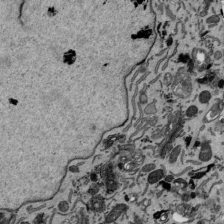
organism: Mouse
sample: ED-1 cell nuclei; centrioles